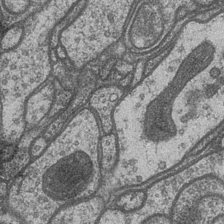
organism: Drosophila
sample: Optic medulla